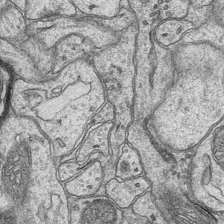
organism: Mouse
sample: CA1 Hippocampus